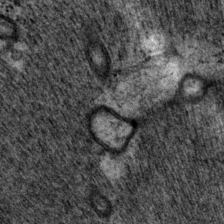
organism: P. pacificus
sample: Pharynx